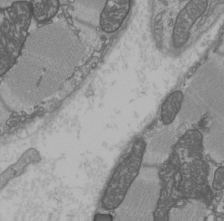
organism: C57BL Mouse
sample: Heart